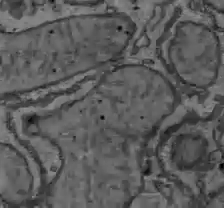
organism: C57BL Mouse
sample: Liver